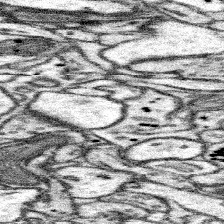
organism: Mouse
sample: Somatosensory cortex neuropil